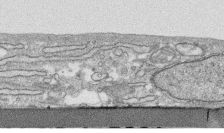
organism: Human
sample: CRL-1474